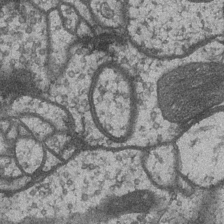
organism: Drosophila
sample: Optic medulla